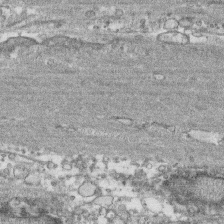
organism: Human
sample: CRL-1474